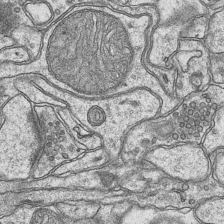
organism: Mouse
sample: CA1 Hippocampus